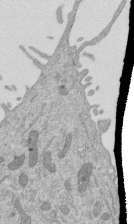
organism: Mouse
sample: ED-1 cell nuclei; centrioles